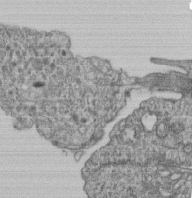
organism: Human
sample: Retinal organoid Rod and Cone cells